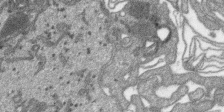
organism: Human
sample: Lung epithelial cells infected with SARS-CoV-2